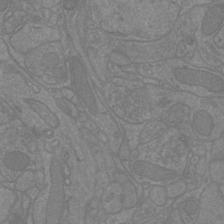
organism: Mouse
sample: Cortical neurons